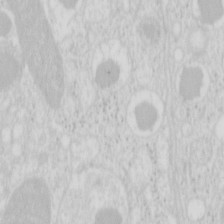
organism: Mouse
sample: Pancreas